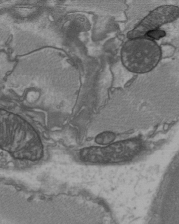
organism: C57BL Mouse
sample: Heart